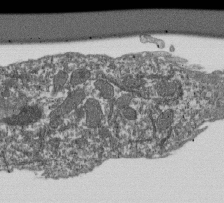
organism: Dictyostelium discoideum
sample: Dictyostelium multivesicular bodies